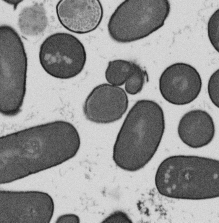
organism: B. subtilis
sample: Bacterial spore